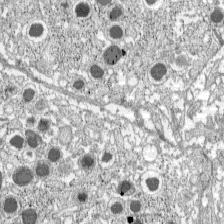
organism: C57BL Mouse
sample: Pancreatic islet